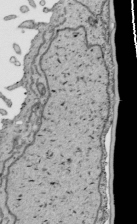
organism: Human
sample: Mitochondria in HCT116 cells